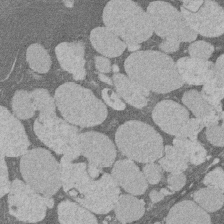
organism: Rat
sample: Salivary granule